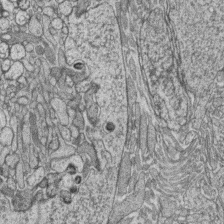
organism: Zebrafish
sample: synaptic ribbons in rod cells and cone cells